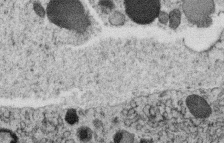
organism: C. elegans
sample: C. elegans oocyte; sperm cells